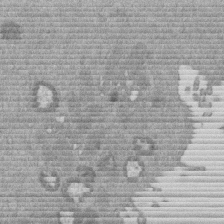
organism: Mouse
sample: Dividing mouse embryo 1 cell stage